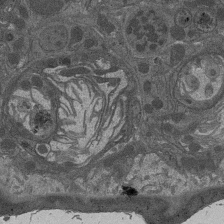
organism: Drosophila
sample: Antenna